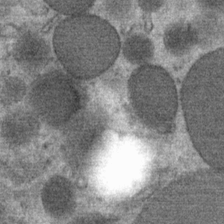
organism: Mouse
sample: Mouse Salivary gland